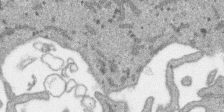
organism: Human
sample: Lung epithelial cells infected with SARS-CoV-2